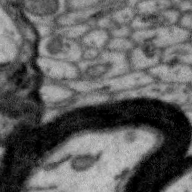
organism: Zebra finch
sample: Brain